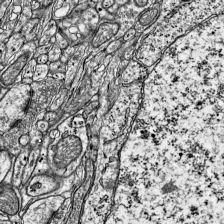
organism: Mouse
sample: Visual Cortex